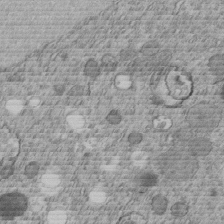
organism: C. elegans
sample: C. elegans embryo early stage